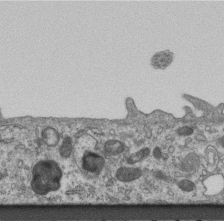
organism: Mouse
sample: Centriole in ependymal cells